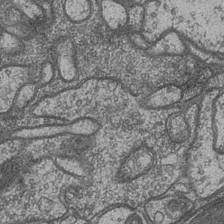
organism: Drosophila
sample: Optic medulla